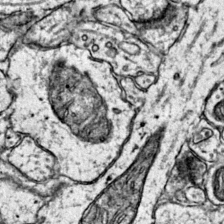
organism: Mouse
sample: Primary visual cortex